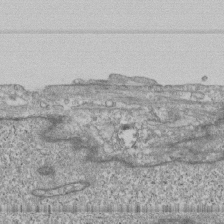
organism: Human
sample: Fibroblast cells